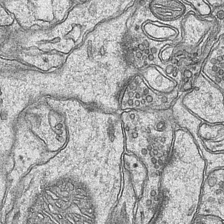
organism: Mouse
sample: CA1 Hippocampus